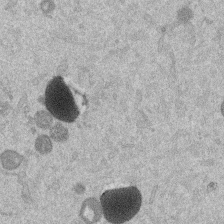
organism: Mouse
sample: Dividing mouse embryo 1 cell stage